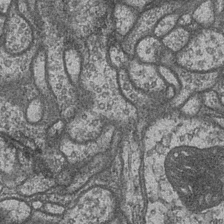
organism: Drosophila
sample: Optic medulla